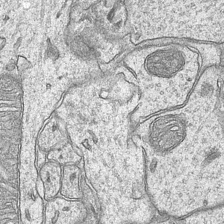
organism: Mouse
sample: CA1 Hippocampus